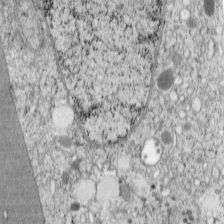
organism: African green monkey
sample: COS-7 cells